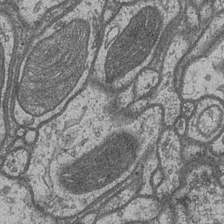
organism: Drosophila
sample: Optic medulla